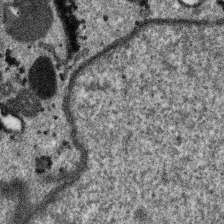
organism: Human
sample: Lung epithelial cells infected with SARS-CoV-2